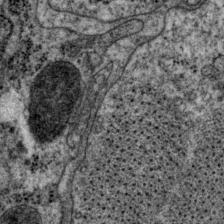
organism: P. pacificus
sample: Pharynx